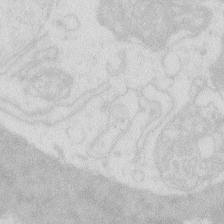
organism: Zebrafish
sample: Macrophage